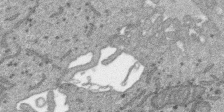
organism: Human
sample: Lung epithelial cells infected with SARS-CoV-2